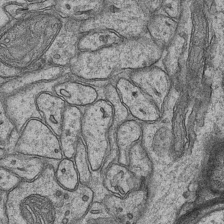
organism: Mouse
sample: CA1 Hippocampus